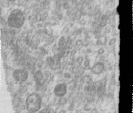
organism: Human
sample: Centriole in RPE cells